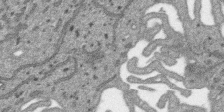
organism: Human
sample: Lung epithelial cells infected with SARS-CoV-2